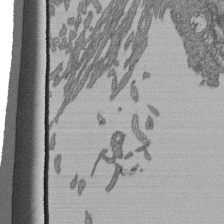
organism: Human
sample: Retinal organoid Rod and Cone cells